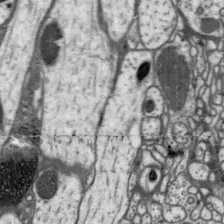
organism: Drosophila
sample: Protocerebral bridge